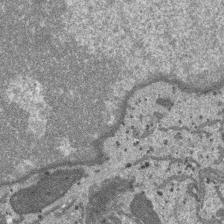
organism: Human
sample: Lung epithelial cells infected with SARS-CoV-2